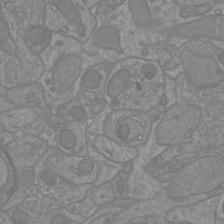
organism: Mouse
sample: Cortical neurons